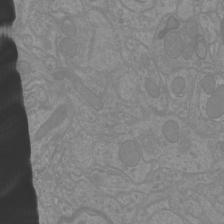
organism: Mouse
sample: Cortical neurons